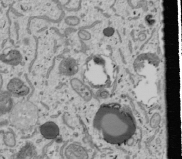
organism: Human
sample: Mitochondria in U2OS cells